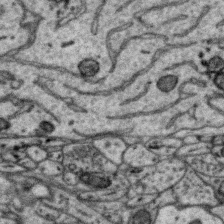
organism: Zebra finch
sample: Brain